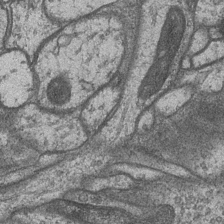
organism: Drosophila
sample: Optic medulla